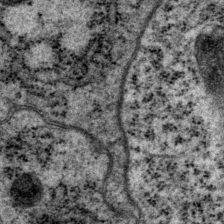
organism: P. pacificus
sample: Pharynx